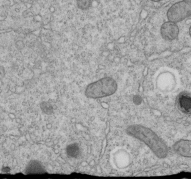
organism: C. elegans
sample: C. elegans embryo early stage